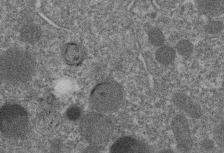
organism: C. elegans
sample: C. elegans embryo early stage